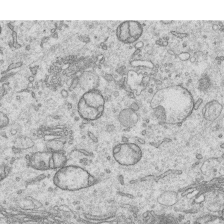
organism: Human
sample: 1205lu cells